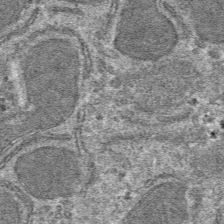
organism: Mouse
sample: Mouse hepatocytes